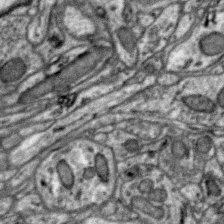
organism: Zebra finch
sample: Brain